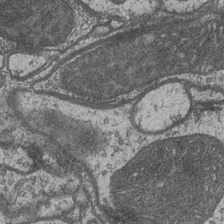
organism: Drosophila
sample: Optic medulla